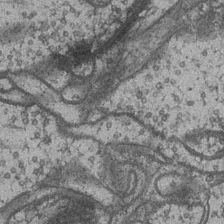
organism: Drosophila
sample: Optic medulla